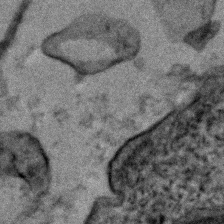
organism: Human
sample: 1205lu cells